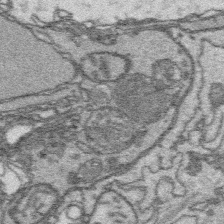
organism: Platynereis dumerilii